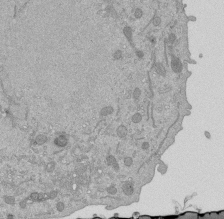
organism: Mouse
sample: ED-1 cell nuclei; centrioles